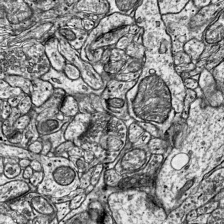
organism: Mouse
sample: Visual Cortex